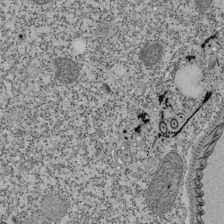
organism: Tetrahymena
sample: Cilia in tetrahymena